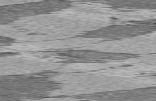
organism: C57BL Mouse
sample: Heart